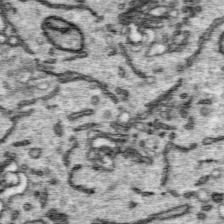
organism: Human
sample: HeLa cells